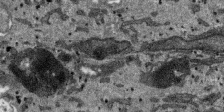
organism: Human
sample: Lung epithelial cells, uninfected (mock) control